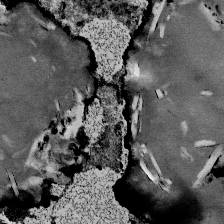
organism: Mouse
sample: Mouse Salivary gland